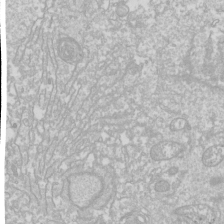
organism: Drosophila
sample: Cell division; meiosis; drosophila spermatocytes